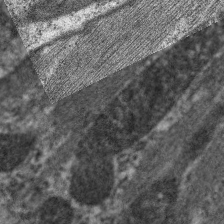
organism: C. elegans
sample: Pharynx